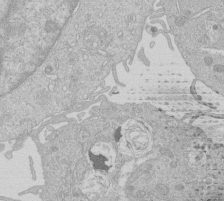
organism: Human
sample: Macrophage cells